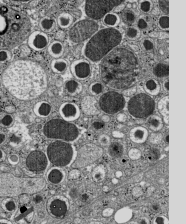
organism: C57BL Mouse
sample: Pancreatic islet